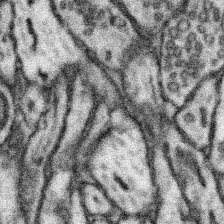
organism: Mouse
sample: Somatosensory cortex neuropil